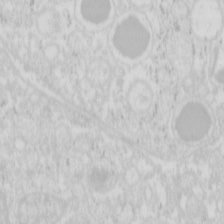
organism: Mouse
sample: Pancreas